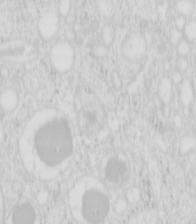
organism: Mouse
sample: Pancreas